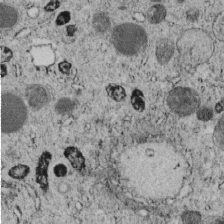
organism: C. elegans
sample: C. elegans embryo early stage